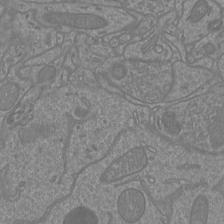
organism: Mouse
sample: Cortical neurons